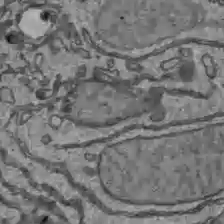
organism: C57BL Mouse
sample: Liver